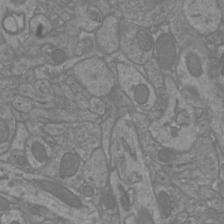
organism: Mouse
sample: Cortical neurons